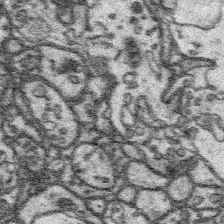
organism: Platynereis dumerilii